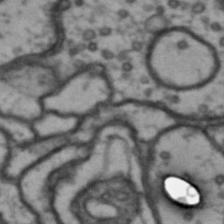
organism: Drosophila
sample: Brain